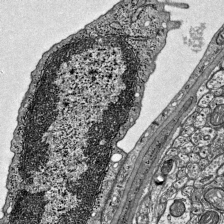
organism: Mouse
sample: Visual Cortex